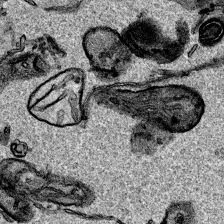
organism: Human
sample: Mitochondria in HCT116 cells